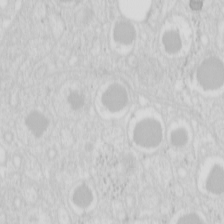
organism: Mouse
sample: Pancreas